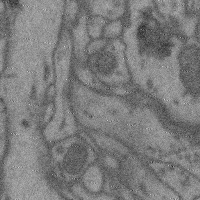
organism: Mouse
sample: Cerebral cortex